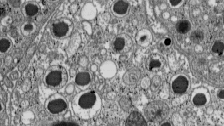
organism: C57BL Mouse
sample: Pancreatic islet